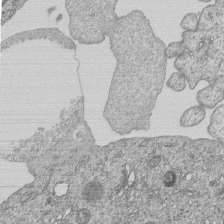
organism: Human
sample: MDA-MB-231 cells